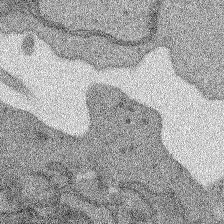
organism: Human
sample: HeLa cells